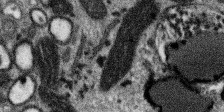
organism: Human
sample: Lung epithelial cells infected with SARS-CoV-2